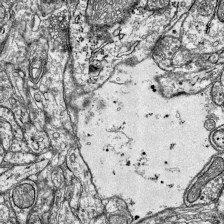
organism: Mouse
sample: Visual Cortex